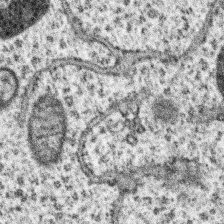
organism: Human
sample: HeLa cells